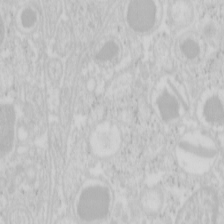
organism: Mouse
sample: Pancreas